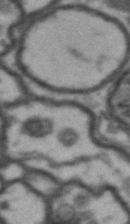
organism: Drosophila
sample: Brain